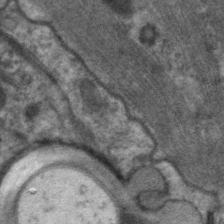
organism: C. elegans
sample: Pharynx